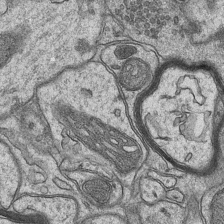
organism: Mouse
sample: CA1 Hippocampus